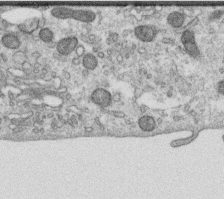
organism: Human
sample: Centriole in RPE cells